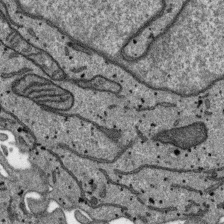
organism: Human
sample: Lung epithelial cells, uninfected (mock) control